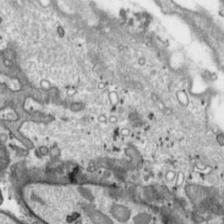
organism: Toxoplasma gondii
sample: Parasites in a vacuole inside a host cell